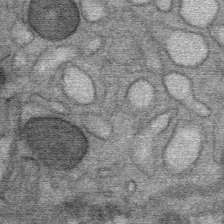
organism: Mouse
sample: Mouse Salivary gland